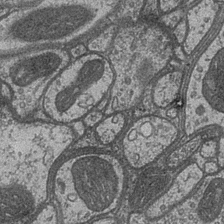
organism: Drosophila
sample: Optic medulla